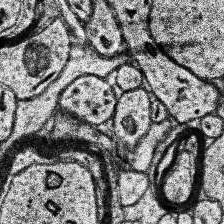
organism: Human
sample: Temporal Lobe